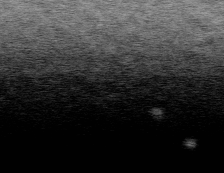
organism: Human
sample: HeLa cells